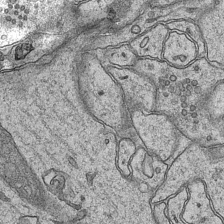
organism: Mouse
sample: CA1 Hippocampus